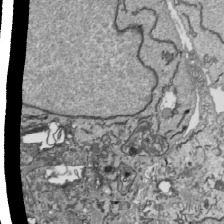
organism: Human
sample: Mitochondria in HCT116 cells